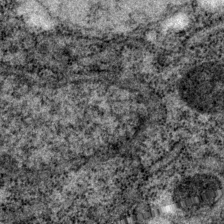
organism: P. pacificus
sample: Pharynx